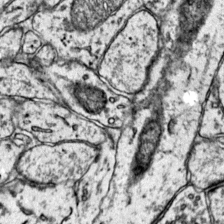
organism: Mouse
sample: Primary visual cortex